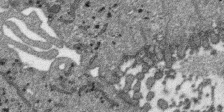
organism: Human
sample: Lung epithelial cells infected with SARS-CoV-2